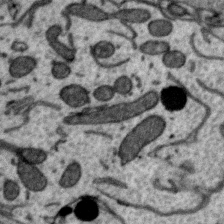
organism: Zebra finch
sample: Brain